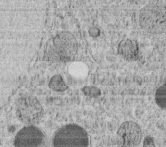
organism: C. elegans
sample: C. elegans embryo early stage